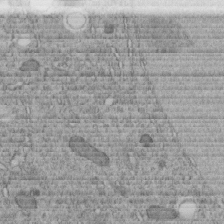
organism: C. elegans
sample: C. elegans embryo early stage